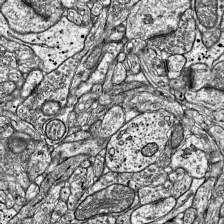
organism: Mouse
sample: Visual Cortex